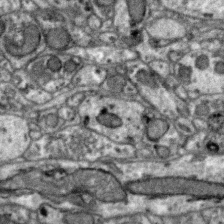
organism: Zebra finch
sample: Brain